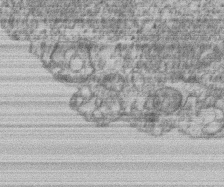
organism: Mouse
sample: T cell stromal cell synapse